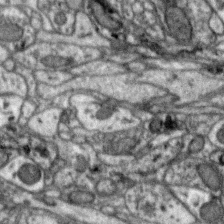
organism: Zebra finch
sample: Brain